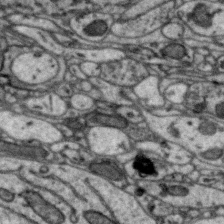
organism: Zebra finch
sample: Brain